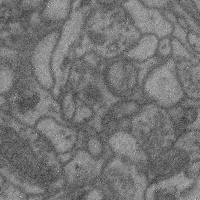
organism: Mouse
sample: Cerebral cortex